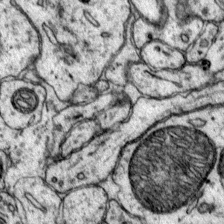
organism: Mouse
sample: Primary visual cortex